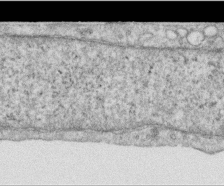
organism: Human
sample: Centriole in RPE cells